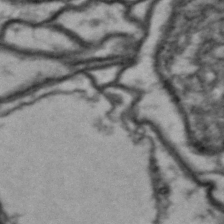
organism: Drosophila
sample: Brain